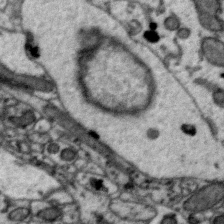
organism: Zebra finch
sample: Brain